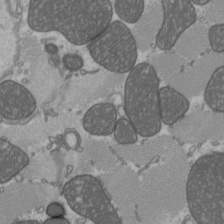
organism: C57BL Mouse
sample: Heart